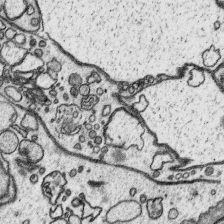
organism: Platynereis dumerilii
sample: Parapodia